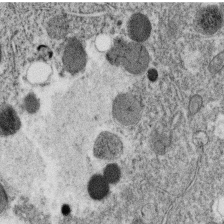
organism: C. elegans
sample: C. elegans oocyte; sperm cells